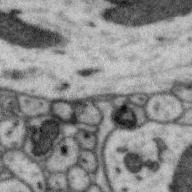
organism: Zebra finch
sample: Brain